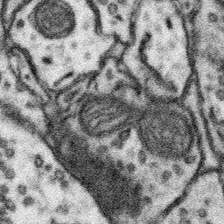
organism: Mouse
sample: Somatosensory cortex neuropil